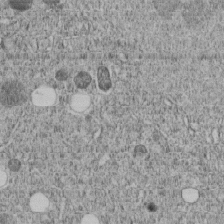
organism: C. elegans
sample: C. elegans embryo early stage